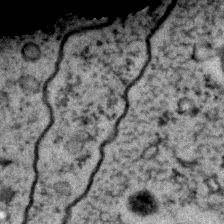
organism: C. elegans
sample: C. elegans embryo